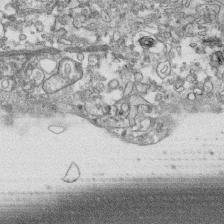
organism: Human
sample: CRL-1474